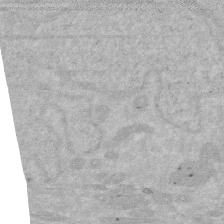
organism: Human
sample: HIV infected U937 cells